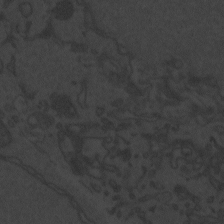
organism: Zebrafish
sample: Macrophage infected with Toxoplasma gondii